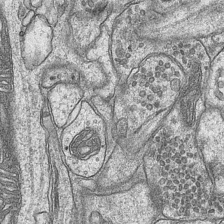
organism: Mouse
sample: CA1 Hippocampus